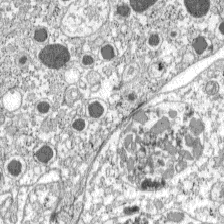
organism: C57BL Mouse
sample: Pancreatic islet